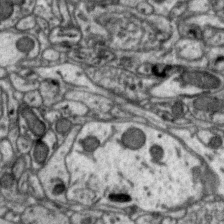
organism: Zebra finch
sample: Brain